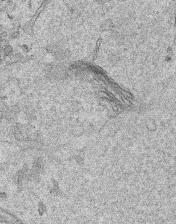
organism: Human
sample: Mitochondria in HCT116 cells